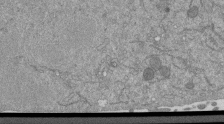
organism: Mouse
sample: ED-1 cell nuclei; centrioles